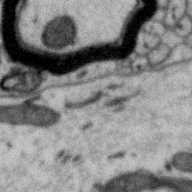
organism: Zebra finch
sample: Brain